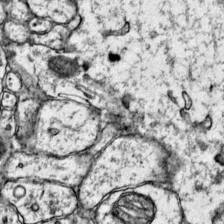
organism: Mouse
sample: Primary visual cortex